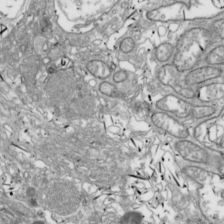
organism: Drosophila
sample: Cell division; meiosis; drosophila spermatocytes